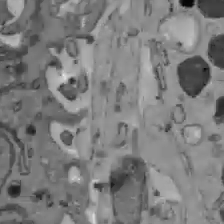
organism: C57BL Mouse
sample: Liver